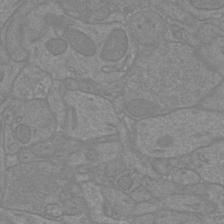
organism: Mouse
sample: Cortical neurons